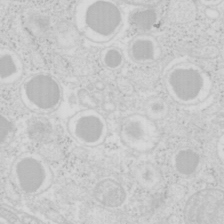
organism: Mouse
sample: Pancreas